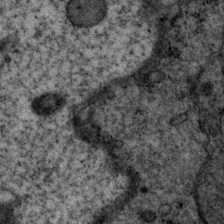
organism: P. pacificus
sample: Pharynx